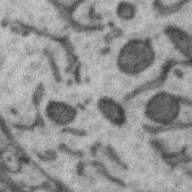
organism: Zebra finch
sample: Brain